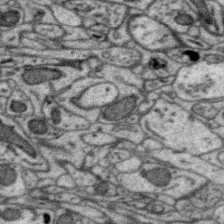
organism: Zebra finch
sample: Brain